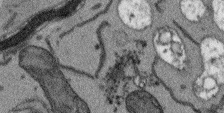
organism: Arabidopsis thaliana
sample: Root tip